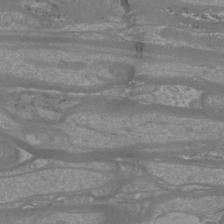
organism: Mouse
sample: Cortical neurons